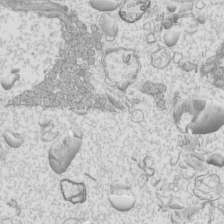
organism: Mouse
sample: Cilia; mouse epididymis